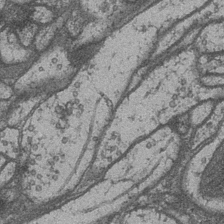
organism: Drosophila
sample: Optic medulla